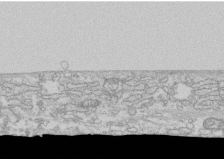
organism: Human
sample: CRL-1474